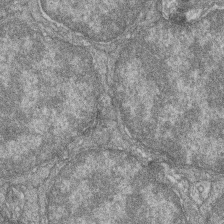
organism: Zebrafish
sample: Cilia; retinal pigment epithelium